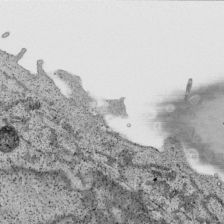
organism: Human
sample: Mitochondria in HCT116 cells